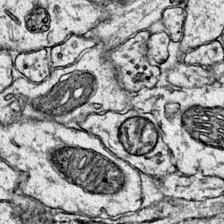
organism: Mouse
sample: Primary visual cortex